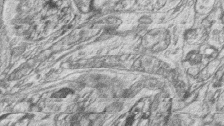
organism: Zebrafish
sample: synaptic ribbons in rod cells and cone cells